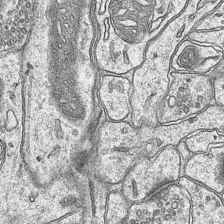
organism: Mouse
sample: CA1 Hippocampus